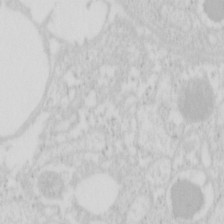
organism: Mouse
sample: Pancreas